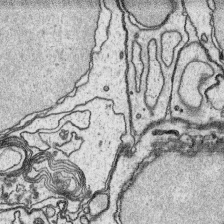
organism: Platynereis dumerilii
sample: Parapodia